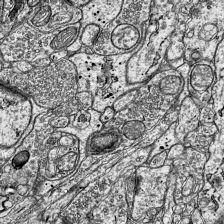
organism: Mouse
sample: Visual Cortex